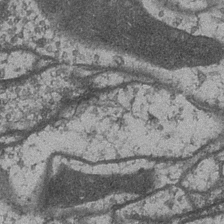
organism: Drosophila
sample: Optic medulla